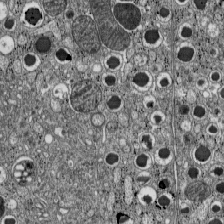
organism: C57BL Mouse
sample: Pancreatic islet